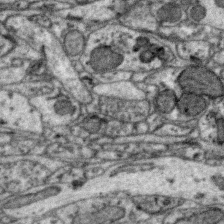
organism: Zebra finch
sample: Brain